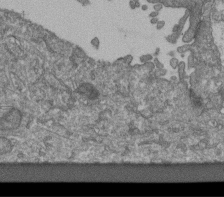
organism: Human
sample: Retinal organoid Rod and Cone cells